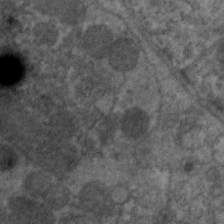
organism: C. elegans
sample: Pharynx